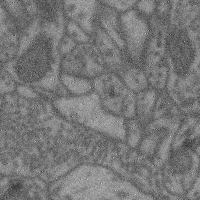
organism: Mouse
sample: Cerebral cortex